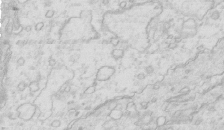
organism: Mouse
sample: Multiciliated cells